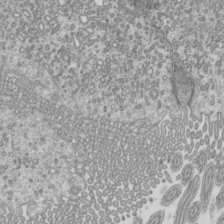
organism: Mouse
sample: Cilia; mouse epididymis